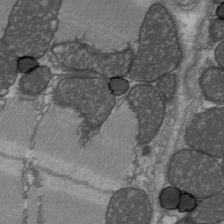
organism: C57BL Mouse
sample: Heart